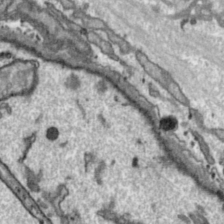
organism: Toxoplasma gondii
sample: Parasites in a vacuole inside a host cell